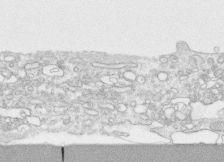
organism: Human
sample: CRL-1474